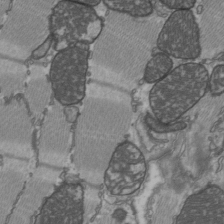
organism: C57BL Mouse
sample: Heart